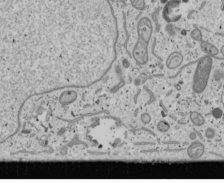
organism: Human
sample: Mitochondria in U2OS cells